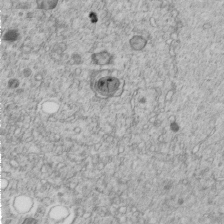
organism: C. elegans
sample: C. elegans embryo early stage